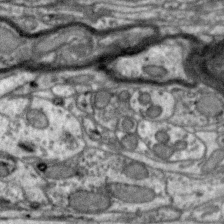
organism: Zebra finch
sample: Brain